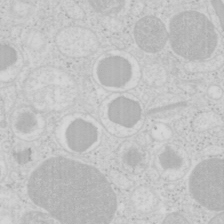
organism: Mouse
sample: Pancreas